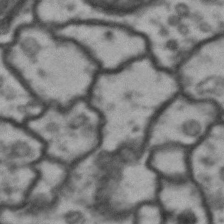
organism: Drosophila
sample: Brain